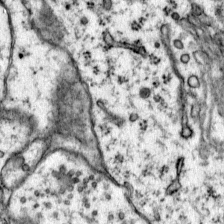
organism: Mouse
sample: Primary visual cortex